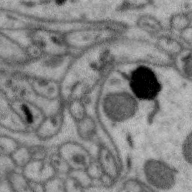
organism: Zebra finch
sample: Brain